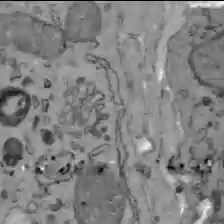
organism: C57BL Mouse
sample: Liver